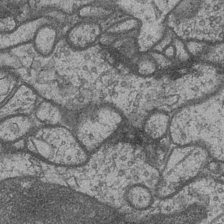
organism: Drosophila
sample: Optic medulla